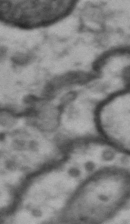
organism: Drosophila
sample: Brain